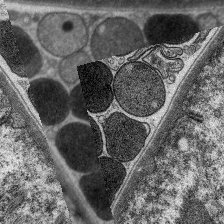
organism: C. elegans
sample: Pharynx